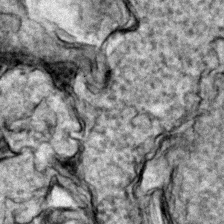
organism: Zebrafish